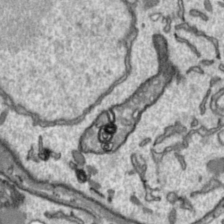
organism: Toxoplasma gondii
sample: Parasites in a vacuole inside a host cell